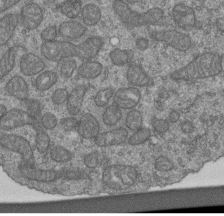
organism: Human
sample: Retinal organoid Rod and Cone cells